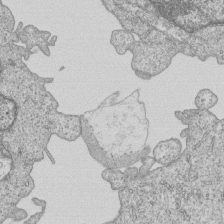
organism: Human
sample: MDA-MB-231 cells